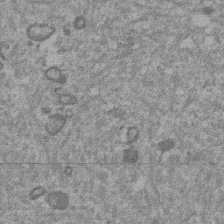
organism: Mouse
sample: Dividing mouse embryo 1 cell stage